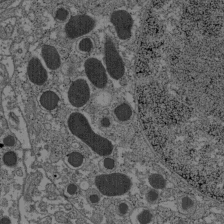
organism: C57BL Mouse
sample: Pancreatic islet